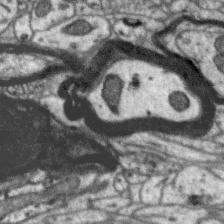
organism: Zebra finch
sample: Brain